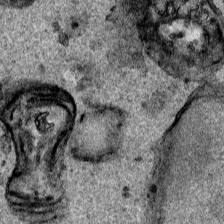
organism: Human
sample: Mitochondria in HCT116 cells